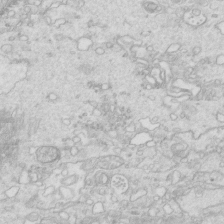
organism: Mouse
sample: Multiciliated cells